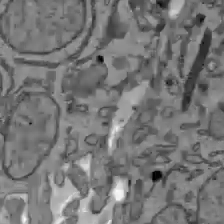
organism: C57BL Mouse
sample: Liver